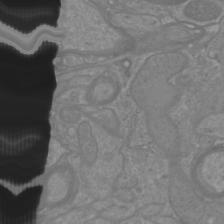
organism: Mouse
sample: Cortical neurons